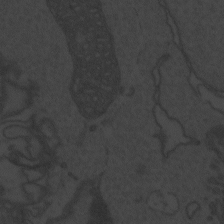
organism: Zebrafish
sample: Macrophage infected with Toxoplasma gondii